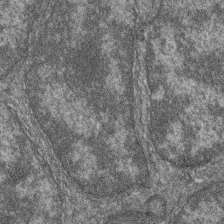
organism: Zebrafish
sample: Cilia; retinal pigment epithelium